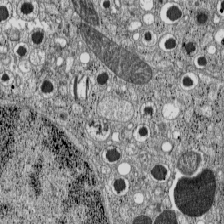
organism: C57BL Mouse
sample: Pancreatic islet